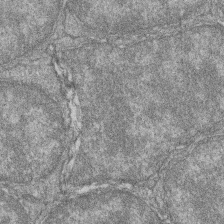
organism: Zebrafish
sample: Cilia; retinal pigment epithelium